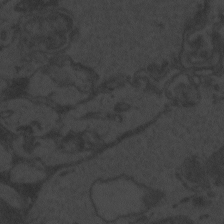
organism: Zebrafish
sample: Macrophage infected with Toxoplasma gondii